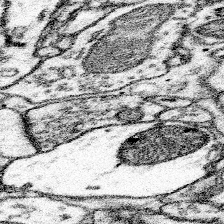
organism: Mouse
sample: Somatosensory cortex neuropil